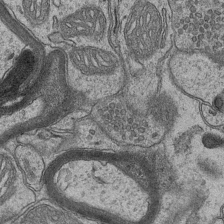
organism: Mouse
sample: CA1 Hippocampus